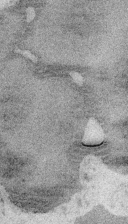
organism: Embia sp.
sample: Silk gland